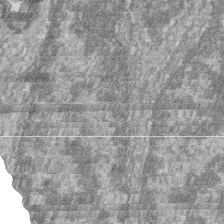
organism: Zebrafish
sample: Cilia; retinal pigment epithelium